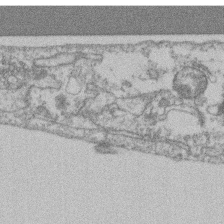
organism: Mouse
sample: T cell stromal cell synapse